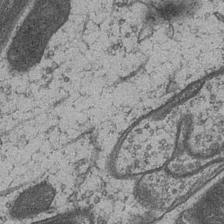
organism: Drosophila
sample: Optic medulla